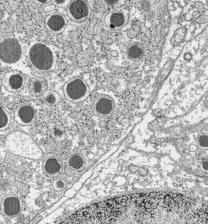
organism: C57BL Mouse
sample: Pancreatic islet